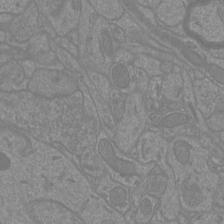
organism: Mouse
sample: Cortical neurons